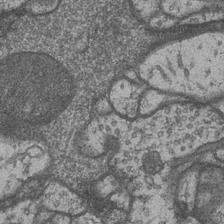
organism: Drosophila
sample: Optic medulla